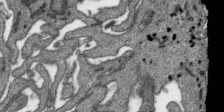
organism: Human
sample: Lung epithelial cells, uninfected (mock) control